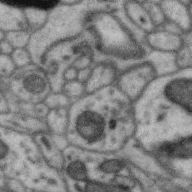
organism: Zebra finch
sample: Brain